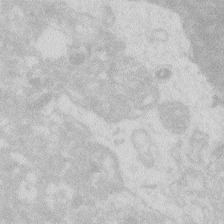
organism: Zebrafish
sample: Macrophage